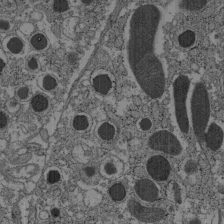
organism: C57BL Mouse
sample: Pancreatic islet